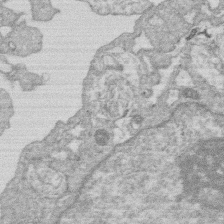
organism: Human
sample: Macrophage cells